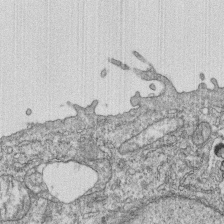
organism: Human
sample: HeLa cell HIV synapse